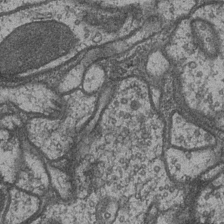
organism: Drosophila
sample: Optic medulla